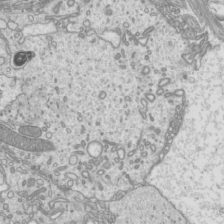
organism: Mouse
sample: Cilia; mouse epididymis